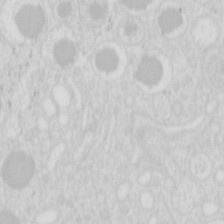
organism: Mouse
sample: Pancreas